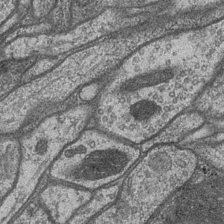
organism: Drosophila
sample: Optic medulla